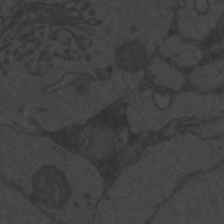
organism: Zebrafish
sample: Macrophage infected with Toxoplasma gondii